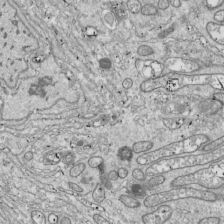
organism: Drosophila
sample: Cell division; meiosis; drosophila spermatocytes